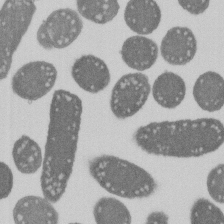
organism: E. coli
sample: Bacterial nucleoid